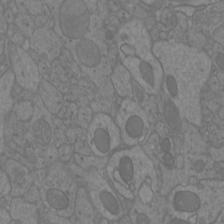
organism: Mouse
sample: Cortical neurons